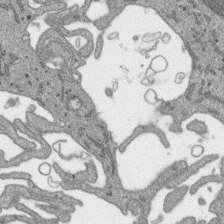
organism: Human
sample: Lung epithelial cells infected with SARS-CoV-2